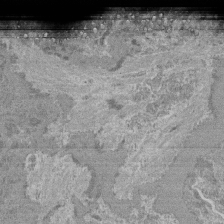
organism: Mouse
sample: Glomerulus